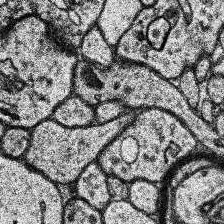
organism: Human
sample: Temporal Lobe